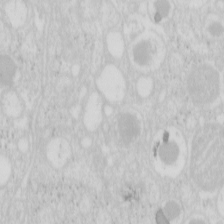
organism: Mouse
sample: Pancreas